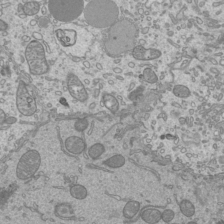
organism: Mouse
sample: Cilia; mouse epididymis